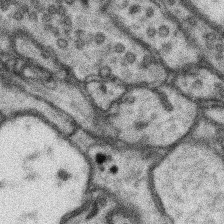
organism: Mouse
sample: Somatosensory cortex neuropil